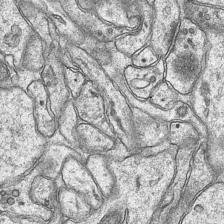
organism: Mouse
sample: CA1 Hippocampus